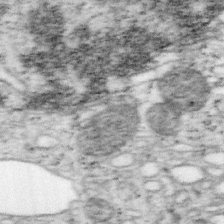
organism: Mouse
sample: OT-I killer T cells with ID8 ovarian cancer cells